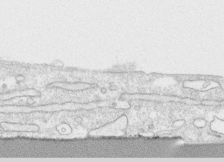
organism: Human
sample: CRL-1474